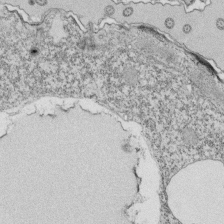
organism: Tetrahymena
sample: Cilia in tetrahymena